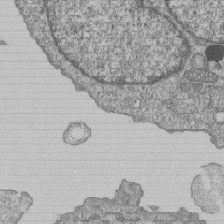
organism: Human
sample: MDA-MB-231 cells